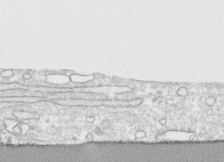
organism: Human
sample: CRL-1474